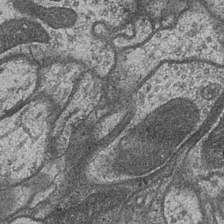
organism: Drosophila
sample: Optic medulla